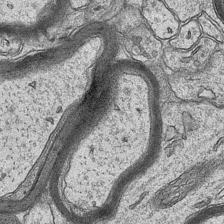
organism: Mouse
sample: CA1 Hippocampus